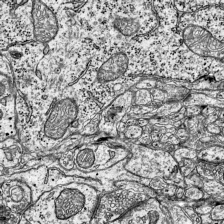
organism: Mouse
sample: Visual Cortex